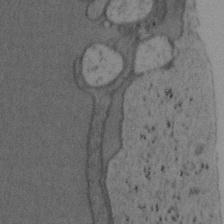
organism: Human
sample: HeLa cells